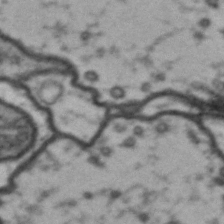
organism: Drosophila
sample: Brain